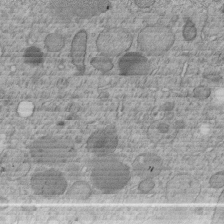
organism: C. elegans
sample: C. elegans embryo early stage